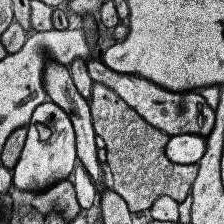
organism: Human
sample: Temporal Lobe